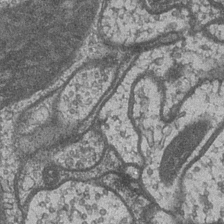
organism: Drosophila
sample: Optic medulla